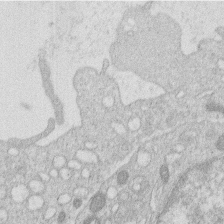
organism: Human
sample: Macrophage cells